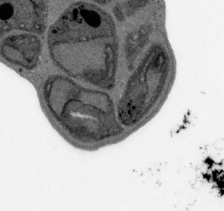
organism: Plasmodium falciparum